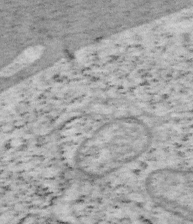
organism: Mouse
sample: OT-I killer T cells with ID8 ovarian cancer cells